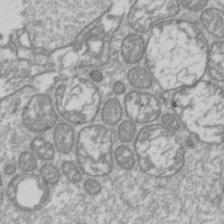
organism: Drosophila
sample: Cell division; meiosis; drosophila spermatocytes